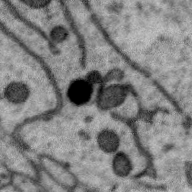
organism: Zebra finch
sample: Brain